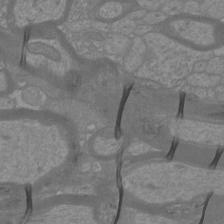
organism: Mouse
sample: Cortical neurons